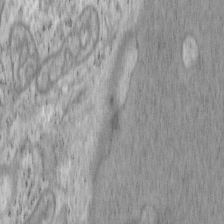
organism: Human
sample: HeLa cells